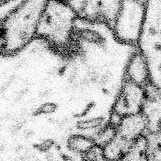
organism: Mouse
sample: Somatosensory cortex neuropil